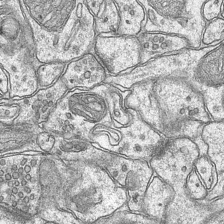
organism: Mouse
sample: CA1 Hippocampus